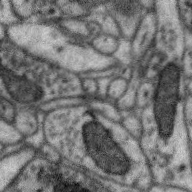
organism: Zebra finch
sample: Brain